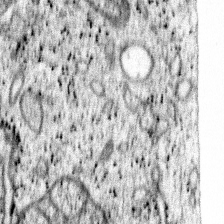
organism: Human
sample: HeLa cells